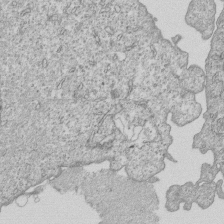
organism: Human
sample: MDA-MB-231 cells